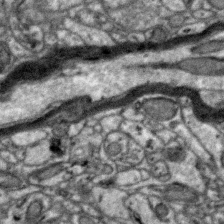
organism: Zebra finch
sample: Brain